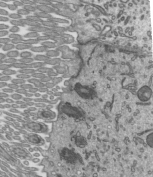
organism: Mouse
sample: Mouse epididymis efferent ductule cilia